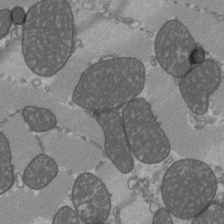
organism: C57BL Mouse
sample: Heart